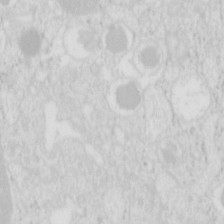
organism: Mouse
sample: Pancreas